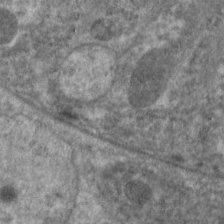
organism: C. elegans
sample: Pharynx